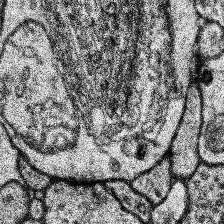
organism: Human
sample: Temporal Lobe